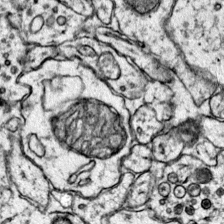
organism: Mouse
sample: Primary visual cortex